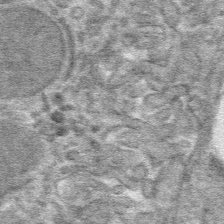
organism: Mouse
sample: Mouse hepatocytes